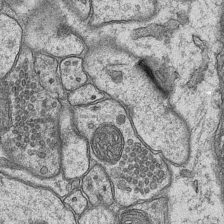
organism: Mouse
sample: CA1 Hippocampus